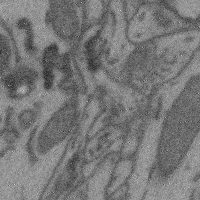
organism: Mouse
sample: Cerebral cortex